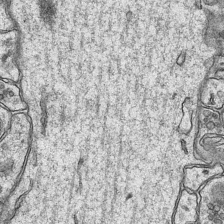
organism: Mouse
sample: CA1 Hippocampus